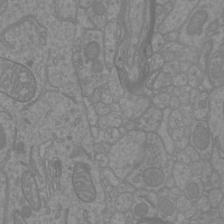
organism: Mouse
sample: Cortical neurons